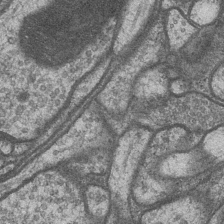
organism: Drosophila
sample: Optic medulla